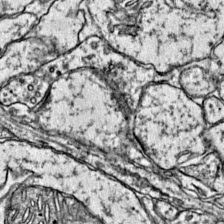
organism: Mouse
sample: Primary visual cortex